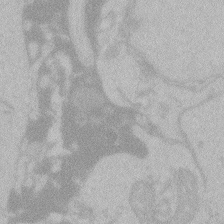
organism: Zebrafish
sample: Macrophage infected with Toxoplasma gondii